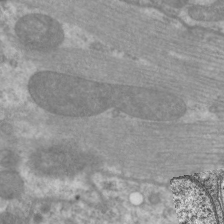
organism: C. elegans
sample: Pharynx